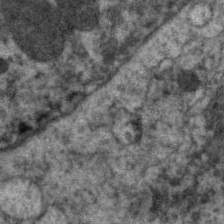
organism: C. elegans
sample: Pharynx